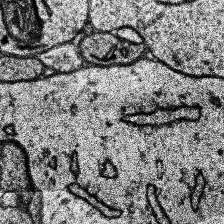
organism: Human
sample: Temporal Lobe